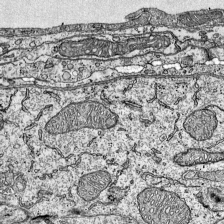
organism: Mouse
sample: Visual Cortex